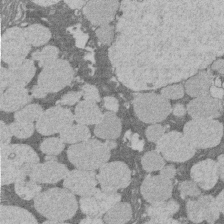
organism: Rat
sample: Salivary granule